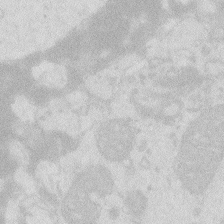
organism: Zebrafish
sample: Macrophage